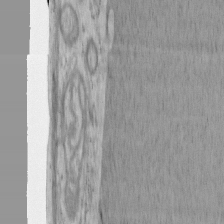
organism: Human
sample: HeLa cells